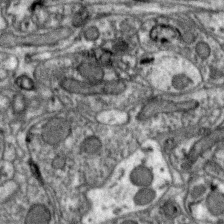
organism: Zebra finch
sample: Brain